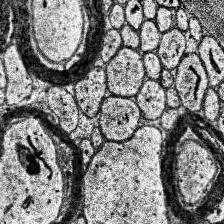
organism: Human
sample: Temporal Lobe